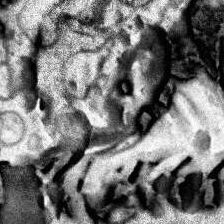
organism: Human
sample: Temporal Lobe